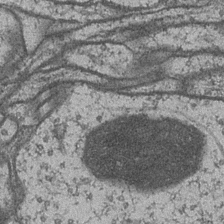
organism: Drosophila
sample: Optic medulla